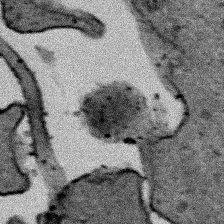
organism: Human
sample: Mitochondria in HCT116 cells